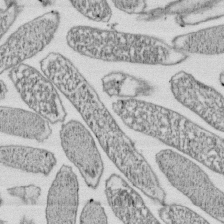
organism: E. coli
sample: Bacterial nucleoid